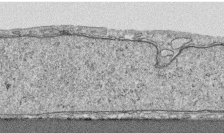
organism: Human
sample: CRL-1474